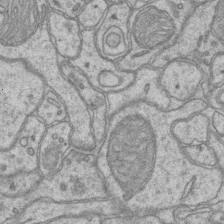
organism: Mouse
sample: CA1 Hippocampus